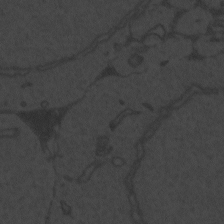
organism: Zebrafish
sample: Macrophage infected with Toxoplasma gondii